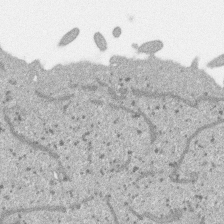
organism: Human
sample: Lung epithelial cells infected with SARS-CoV-2